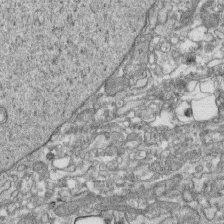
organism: Human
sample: CRL-1474